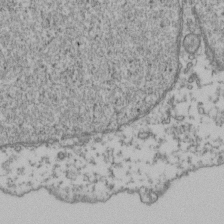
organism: Human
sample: Activated Jurkat CD4+ T cells